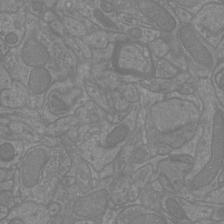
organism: Mouse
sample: Cortical neurons